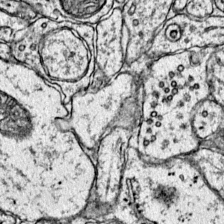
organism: Mouse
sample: Primary visual cortex